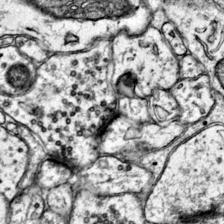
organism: Mouse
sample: Primary visual cortex